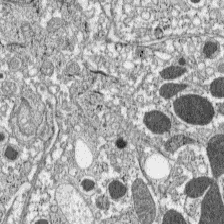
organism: C57BL Mouse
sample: Pancreatic islet